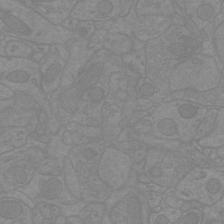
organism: Mouse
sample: Cortical neurons